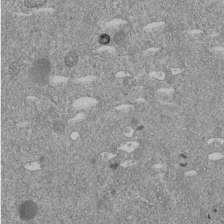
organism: C. elegans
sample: C. elegans embryo early stage